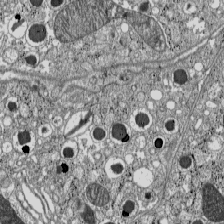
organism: C57BL Mouse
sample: Pancreatic islet